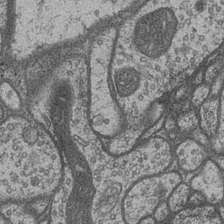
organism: Drosophila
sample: Optic medulla